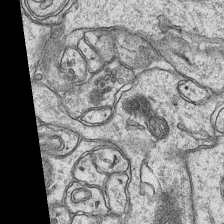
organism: Mouse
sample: CA1 Hippocampus